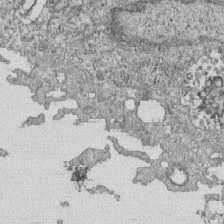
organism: Human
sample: HeLa cell HIV synapse